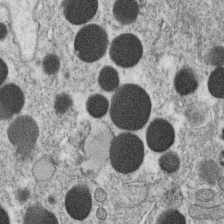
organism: C. elegans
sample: C. elegans oocyte; sperm cells